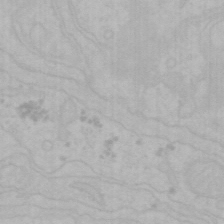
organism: Mouse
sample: Choroid plexus